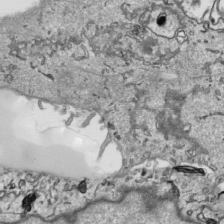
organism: Human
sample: Mitochondria in HCT116 cells